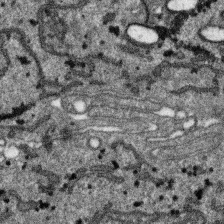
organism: Human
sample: Lung epithelial cells infected with SARS-CoV-2